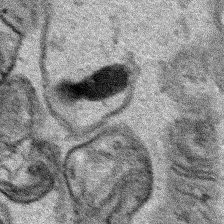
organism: Human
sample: Mitochondria in HCT116 cells